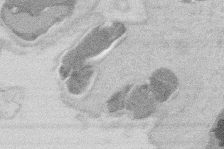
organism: Mouse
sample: T cell stromal cell synapse